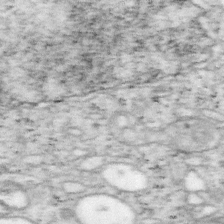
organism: Mouse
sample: OT-I killer T cells with ID8 ovarian cancer cells